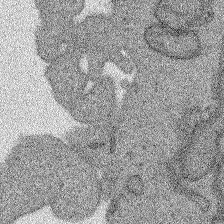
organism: Human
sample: HeLa cells